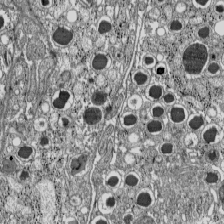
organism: C57BL Mouse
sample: Pancreatic islet